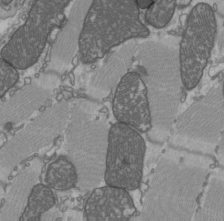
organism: C57BL Mouse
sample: Heart